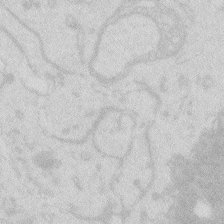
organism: Zebrafish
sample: Macrophage